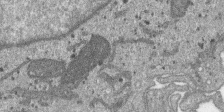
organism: Human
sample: Lung epithelial cells infected with SARS-CoV-2